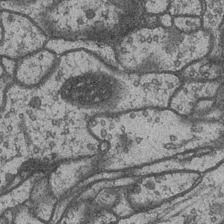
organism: Drosophila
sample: Optic medulla